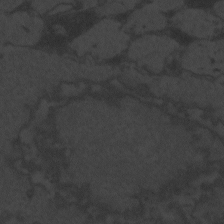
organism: Zebrafish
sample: Macrophage infected with Toxoplasma gondii